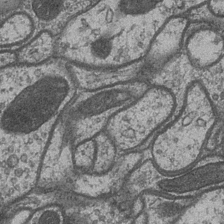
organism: Drosophila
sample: Optic medulla